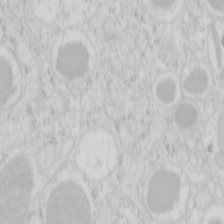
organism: Mouse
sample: Pancreas